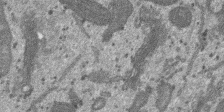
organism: Human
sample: Lung epithelial cells infected with SARS-CoV-2